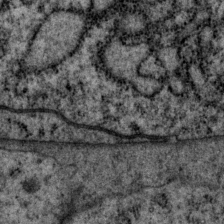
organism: P. pacificus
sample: Pharynx